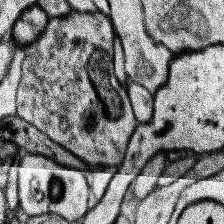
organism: Human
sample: Temporal Lobe